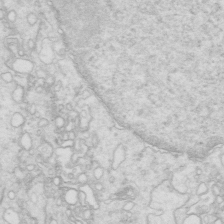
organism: Mouse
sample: Multiciliated cells